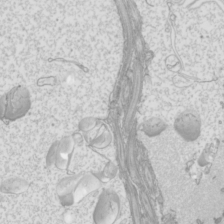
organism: Mouse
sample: Cilia; mouse epididymis